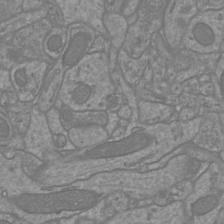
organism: Mouse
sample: Cortical neurons